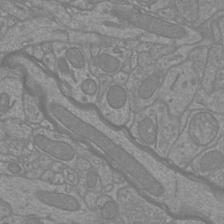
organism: Mouse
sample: Cortical neurons